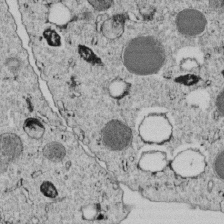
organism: C. elegans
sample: C. elegans embryo early stage